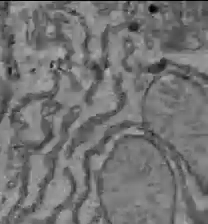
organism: C57BL Mouse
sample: Liver